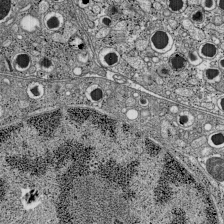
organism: C57BL Mouse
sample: Pancreatic islet